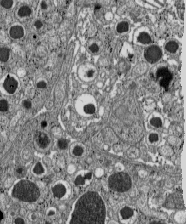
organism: C57BL Mouse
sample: Pancreatic islet